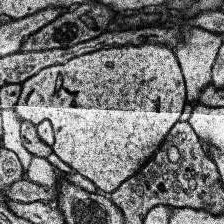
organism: Human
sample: Temporal Lobe